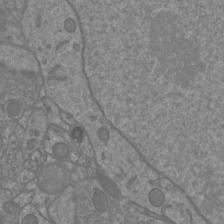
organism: Mouse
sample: Cortical neurons